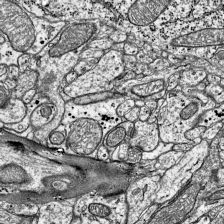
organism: Mouse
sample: Visual Cortex